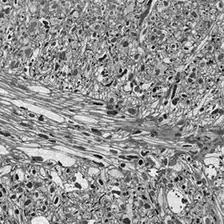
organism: Drosophila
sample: Optic lobe